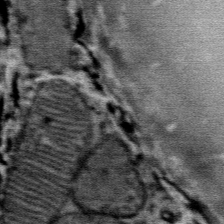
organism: Mouse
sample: Mouse Salivary gland